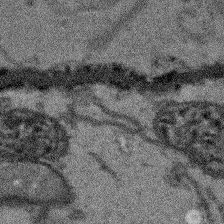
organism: Arabidopsis thaliana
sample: Root tip